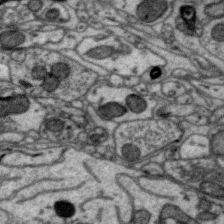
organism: Zebra finch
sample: Brain